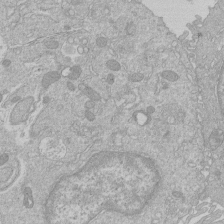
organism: Human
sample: Macrophage cells